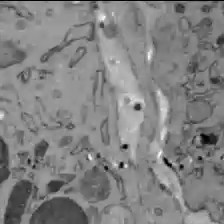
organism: C57BL Mouse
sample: Liver